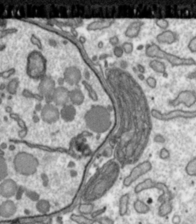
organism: Toxoplasma gondii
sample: Parasites in a vacuole inside a host cell